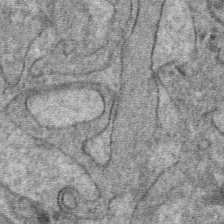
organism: Mouse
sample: Mouse hepatocytes